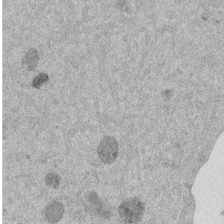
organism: Mouse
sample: Dividing mouse embryo 1 cell stage